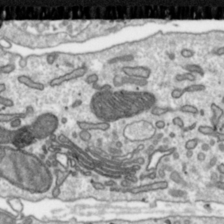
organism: Toxoplasma gondii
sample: Parasites in a vacuole inside a host cell